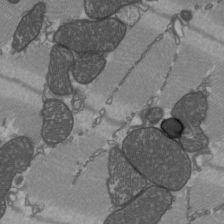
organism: C57BL Mouse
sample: Heart